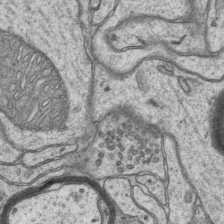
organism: Mouse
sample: CA1 Hippocampus